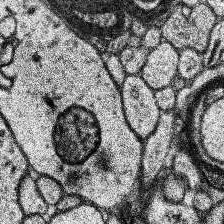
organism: Human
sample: Temporal Lobe